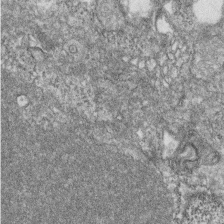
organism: Zebrafish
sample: Cilia; retinal pigment epithelium